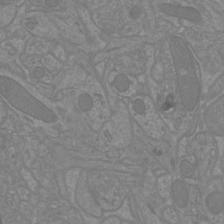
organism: Mouse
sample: Cortical neurons